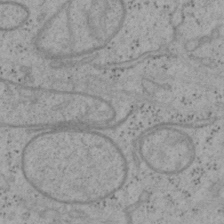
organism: Human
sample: HeLa cells